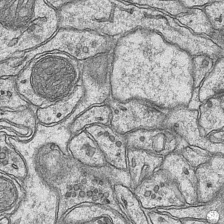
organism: Mouse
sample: CA1 Hippocampus